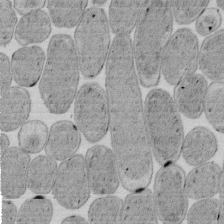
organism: E. coli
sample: Bacterial nucleoid